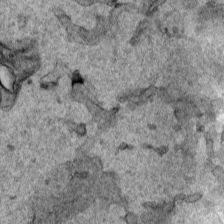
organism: Human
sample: Mitochondria in HCT116 cells